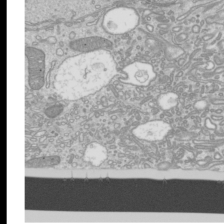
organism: Mouse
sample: Cilia; mouse epididymis